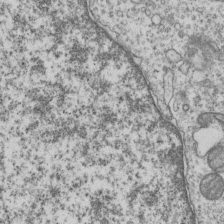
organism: Human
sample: MDA-MB-231 cells